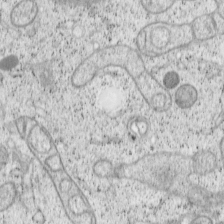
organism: African green monkey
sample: COS-7 cells